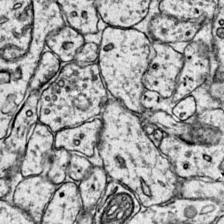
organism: Mouse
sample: Primary visual cortex